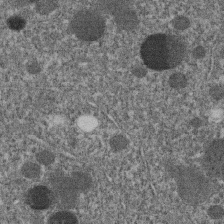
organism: C. elegans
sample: C. elegans embryo early stage